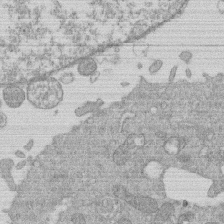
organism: Human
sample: Macrophage cells